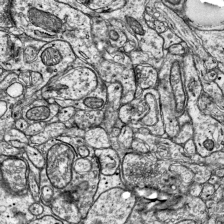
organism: Mouse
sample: Visual Cortex